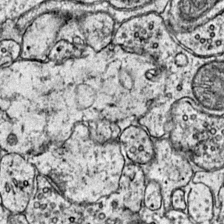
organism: Mouse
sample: Primary visual cortex